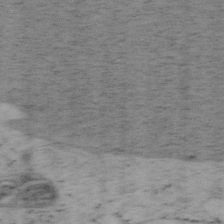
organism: Mouse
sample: OT-I killer T cells with ID8 ovarian cancer cells